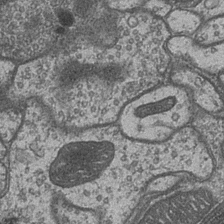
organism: Drosophila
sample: Optic medulla